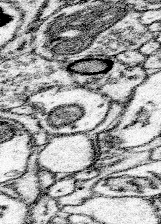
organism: Mouse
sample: Somatosensory cortex neuropil